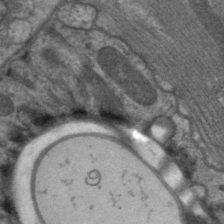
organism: C. elegans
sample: Pharynx